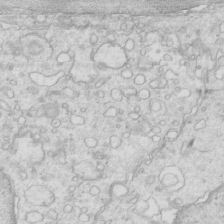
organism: Mouse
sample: Multiciliated cells